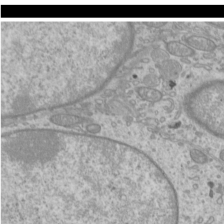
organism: Mouse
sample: Cilia; mouse epididymis